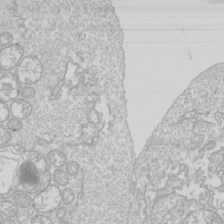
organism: Drosophila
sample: Cell division; meiosis; drosophila spermatocytes